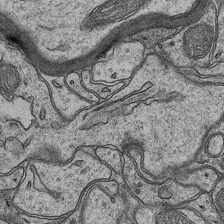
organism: Mouse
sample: CA1 Hippocampus